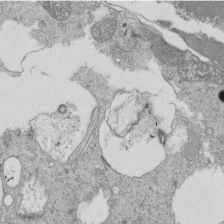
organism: Tetrahymena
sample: Cilia in tetrahymena